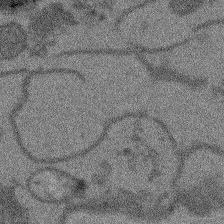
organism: Arabidopsis thaliana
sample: Root tip